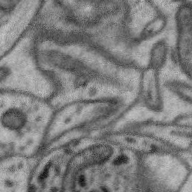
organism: Zebra finch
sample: Brain